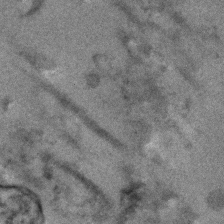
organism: Human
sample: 1205lu cells